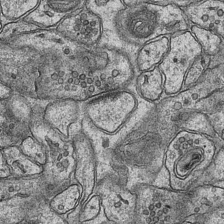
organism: Mouse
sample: CA1 Hippocampus